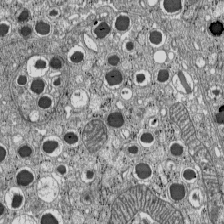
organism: C57BL Mouse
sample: Pancreatic islet